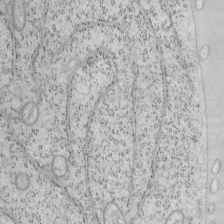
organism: Mouse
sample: OT-I killer T cells with ID8 ovarian cancer cells